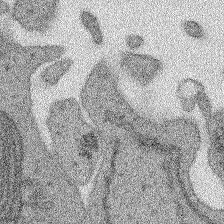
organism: Human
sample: HeLa cells